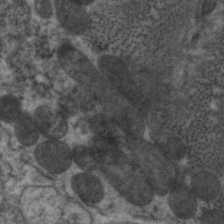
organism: C. elegans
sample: Pharynx